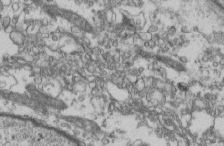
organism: Mouse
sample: Cilia; retinal pigment epithelium